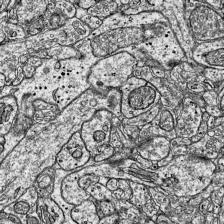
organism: Mouse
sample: Visual Cortex